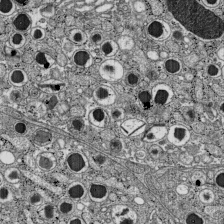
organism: C57BL Mouse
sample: Pancreatic islet